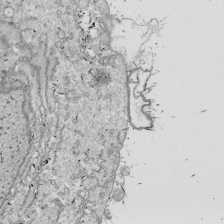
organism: Drosophila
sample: Cell division; meiosis; drosophila spermatocytes